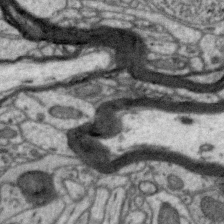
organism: Zebra finch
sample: Brain